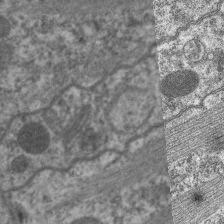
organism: C. elegans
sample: Pharynx